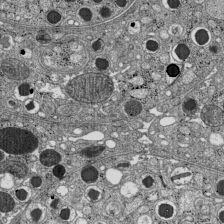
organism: C57BL Mouse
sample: Pancreatic islet